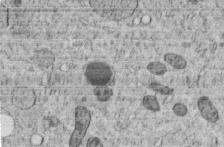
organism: C. elegans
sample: C. elegans embryo early stage